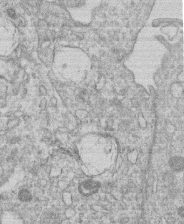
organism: Human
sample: Macrophage cells